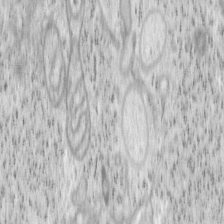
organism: Human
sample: HeLa cells